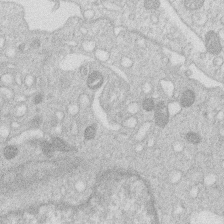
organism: Human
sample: Macrophage cells